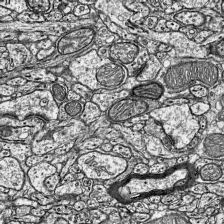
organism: Mouse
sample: Visual Cortex